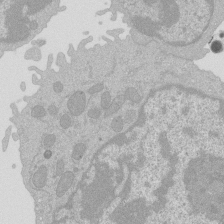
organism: Mouse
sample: Activated Pmel transgenic CD8+ T Cells